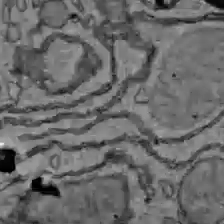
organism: C57BL Mouse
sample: Liver